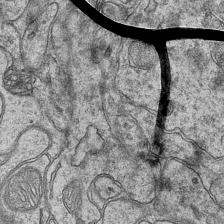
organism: Mouse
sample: CA1 Hippocampus